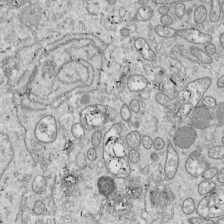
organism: Drosophila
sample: Cell division; meiosis; drosophila spermatocytes